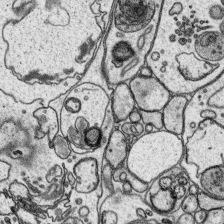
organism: Platynereis dumerilii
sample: Parapodia